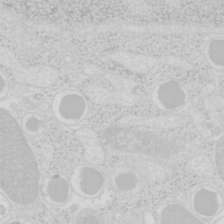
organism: Mouse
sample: Pancreas